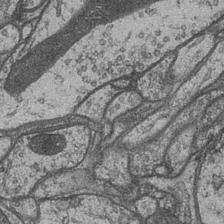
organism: Drosophila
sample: Optic medulla